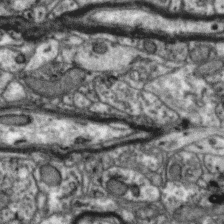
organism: Zebra finch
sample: Brain